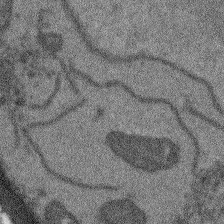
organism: Arabidopsis thaliana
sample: Root tip